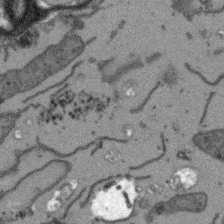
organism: Arabidopsis thaliana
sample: Root tip